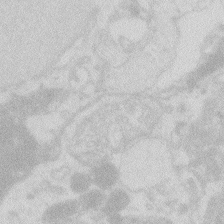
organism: Zebrafish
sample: Macrophage